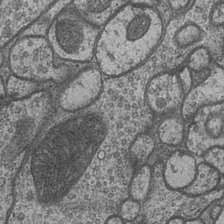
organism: Drosophila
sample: Optic medulla